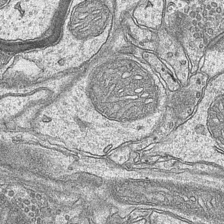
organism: Mouse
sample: CA1 Hippocampus